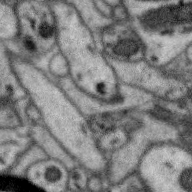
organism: Zebra finch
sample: Brain